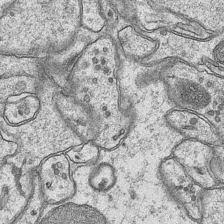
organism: Mouse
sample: CA1 Hippocampus